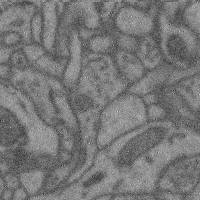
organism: Mouse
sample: Cerebral cortex